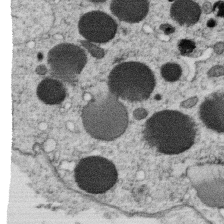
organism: C. elegans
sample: C. elegans oocyte; sperm cells